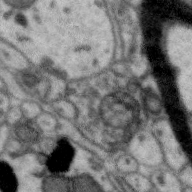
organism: Zebra finch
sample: Brain